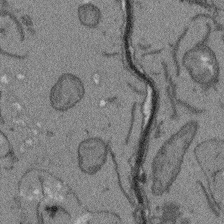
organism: Arabidopsis thaliana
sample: Root tip